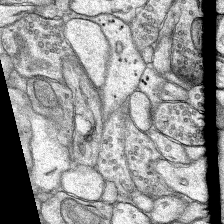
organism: Rat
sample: Hippocampus